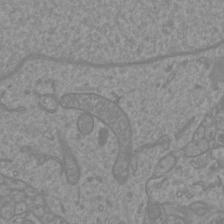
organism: Mouse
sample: Cortical neurons